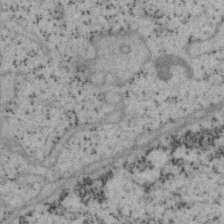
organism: Human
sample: HeLa cells